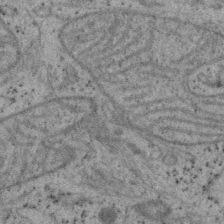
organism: Human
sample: HeLa cells